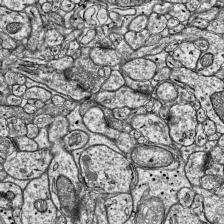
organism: Mouse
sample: Visual Cortex